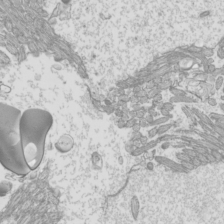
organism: Mouse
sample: Cilia; mouse epididymis